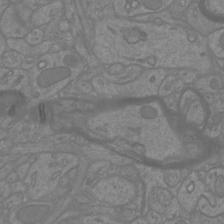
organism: Mouse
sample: Cortical neurons